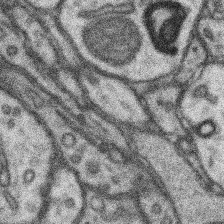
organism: Mouse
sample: Somatosensory cortex neuropil